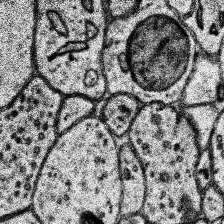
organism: Human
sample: Temporal Lobe